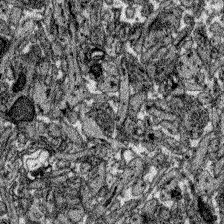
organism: Zebrafish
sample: Larval olfactory bulb